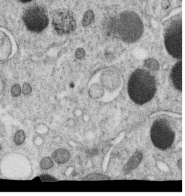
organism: C. elegans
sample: C. elegans oocyte; sperm cells